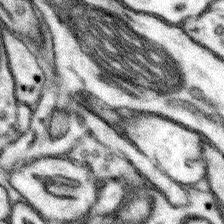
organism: Mouse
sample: Somatosensory cortex neuropil